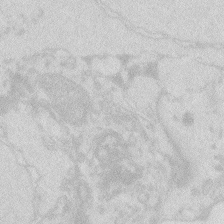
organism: Zebrafish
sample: Macrophage